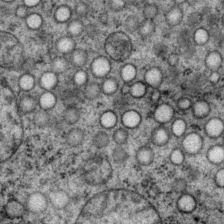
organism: P. pacificus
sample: Pharynx